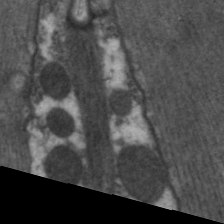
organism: C. elegans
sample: Pharynx